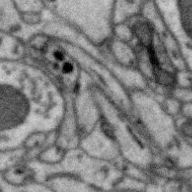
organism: Zebra finch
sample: Brain